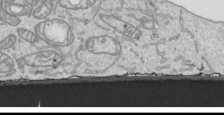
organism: Human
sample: Mitochondria in HCT116 cells